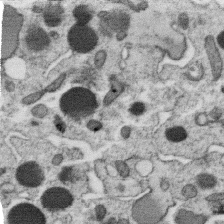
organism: C. elegans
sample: C. elegans oocyte; sperm cells